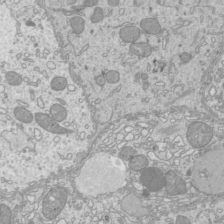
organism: Mouse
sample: Cilia; mouse epididymis